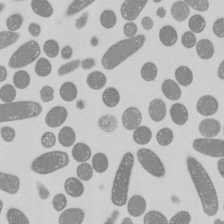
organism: E. coli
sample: Bacterial nucleoid